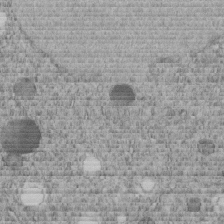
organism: C. elegans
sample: C. elegans embryo early stage